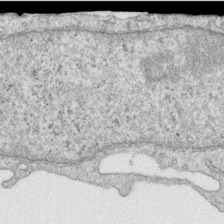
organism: Human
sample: Centriole in RPE cells